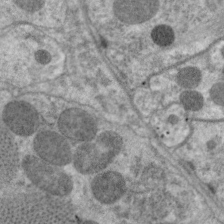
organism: C. elegans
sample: Pharynx